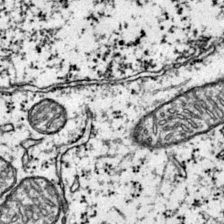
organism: Mouse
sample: Primary visual cortex